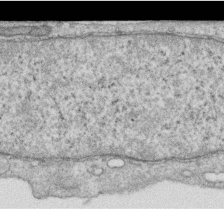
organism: Human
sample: Centriole in RPE cells